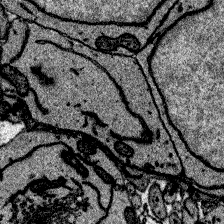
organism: Zebrafish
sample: Larval olfactory bulb